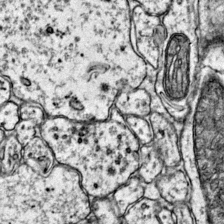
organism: Mouse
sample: Primary visual cortex